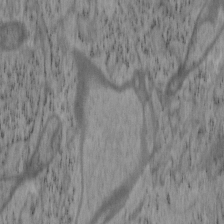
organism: Human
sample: HeLa cells